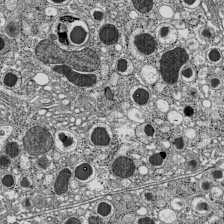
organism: C57BL Mouse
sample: Pancreatic islet